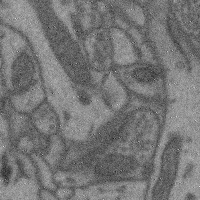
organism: Mouse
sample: Cerebral cortex